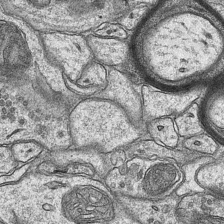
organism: Mouse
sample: CA1 Hippocampus